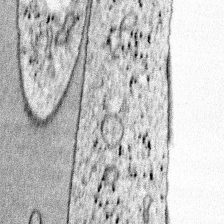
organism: Human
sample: HeLa cells